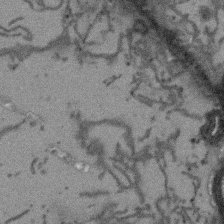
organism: Arabidopsis thaliana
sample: Root tip